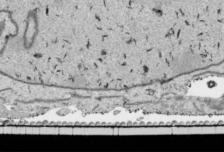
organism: Human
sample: Mitochondria in HCT116 cells